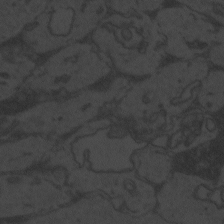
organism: Zebrafish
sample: Macrophage infected with Toxoplasma gondii